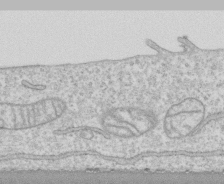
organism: Human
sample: CRL-1474